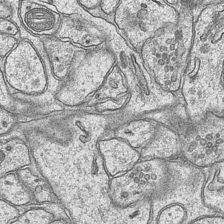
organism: Mouse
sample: CA1 Hippocampus